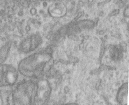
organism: Human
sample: Centriole in RPE cells